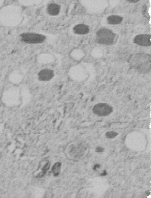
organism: C. elegans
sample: C. elegans embryo early stage